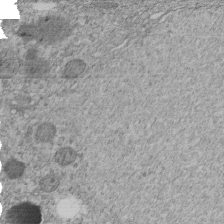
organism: C. elegans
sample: C. elegans embryo early stage